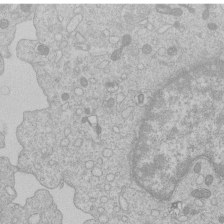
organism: Human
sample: Macrophage cells